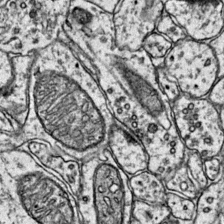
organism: Mouse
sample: Primary visual cortex